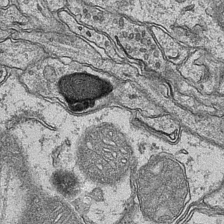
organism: Mouse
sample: CA1 Hippocampus